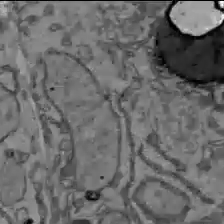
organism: C57BL Mouse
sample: Liver